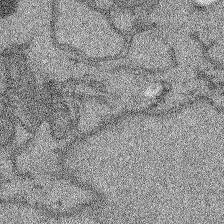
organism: Human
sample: HeLa cells